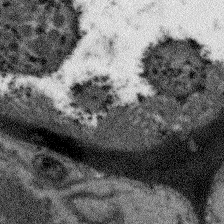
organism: Arabidopsis thaliana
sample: Root tip